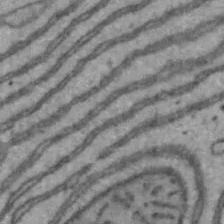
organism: Mouse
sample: Liver